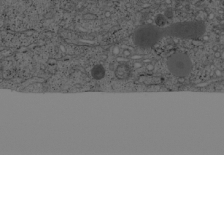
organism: African green monkey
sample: COS-7 cells